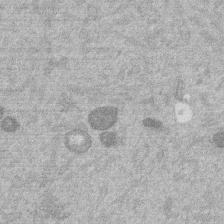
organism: Mouse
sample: Dividing mouse embryo 1 cell stage